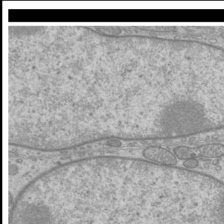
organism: Mouse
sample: Cilia; mouse epididymis